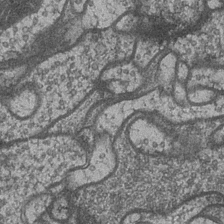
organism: Drosophila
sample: Optic medulla